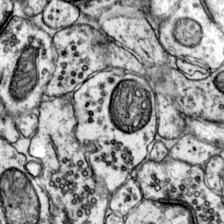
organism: Mouse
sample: Primary visual cortex